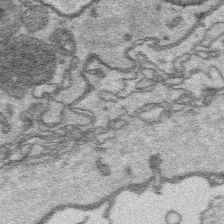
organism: Platynereis dumerilii